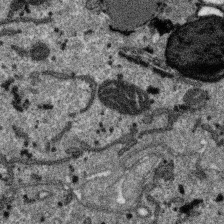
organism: Human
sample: Lung epithelial cells infected with SARS-CoV-2